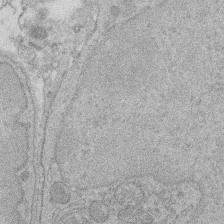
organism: Rat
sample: Salivary granule